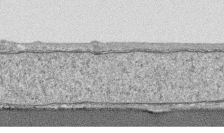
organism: Human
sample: CRL-1474